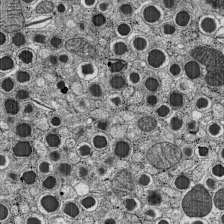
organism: C57BL Mouse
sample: Pancreatic islet